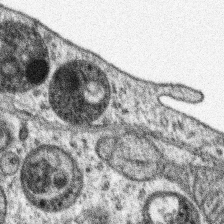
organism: Human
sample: HeLa cells